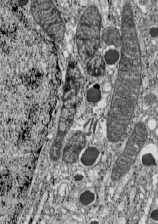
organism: C57BL Mouse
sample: Pancreatic islet